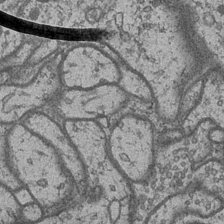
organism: Drosophila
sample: Optic medulla